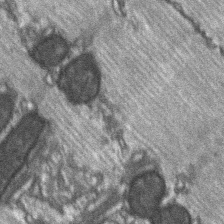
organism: C57BL Mouse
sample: Soleus